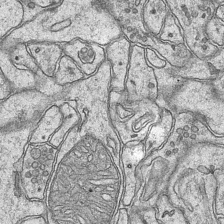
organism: Mouse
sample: CA1 Hippocampus